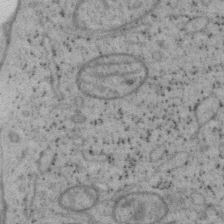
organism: Human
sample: HeLa cells